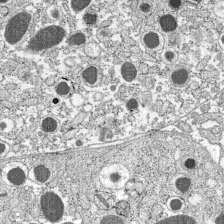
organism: C57BL Mouse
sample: Pancreatic islet